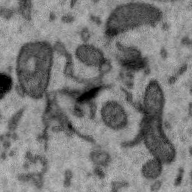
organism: Zebra finch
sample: Brain